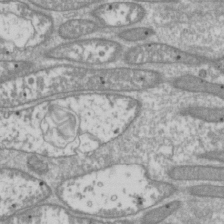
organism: Drosophila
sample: Cell division; meiosis; drosophila spermatocytes